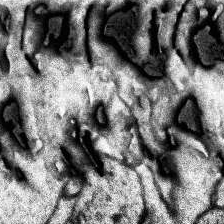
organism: Human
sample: Temporal Lobe